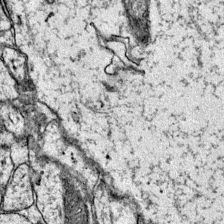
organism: Mouse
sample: Primary visual cortex